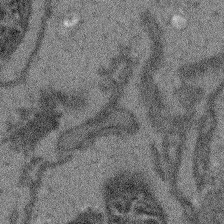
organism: Arabidopsis thaliana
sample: Root tip